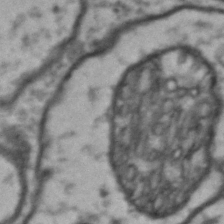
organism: Drosophila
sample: Brain